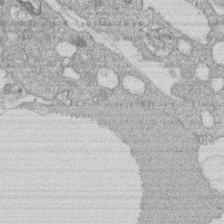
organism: Human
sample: Macrophage cells